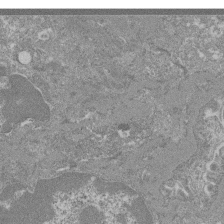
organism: Mouse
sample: Glomerulus